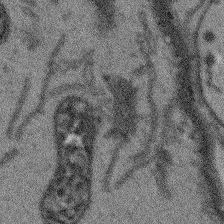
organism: Arabidopsis thaliana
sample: Root tip